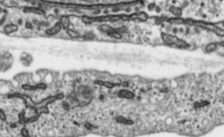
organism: Toxoplasma gondii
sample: Parasites in a vacuole inside a host cell